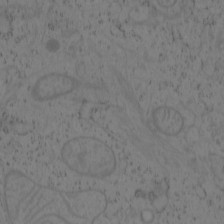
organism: Human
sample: HeLa cells